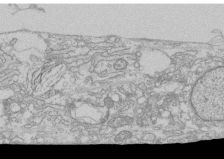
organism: Human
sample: CRL-1474